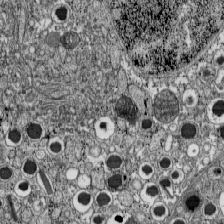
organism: C57BL Mouse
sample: Pancreatic islet